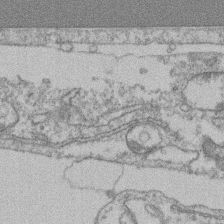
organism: Mouse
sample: T cell stromal cell synapse